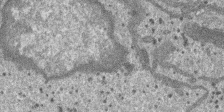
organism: Human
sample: Lung epithelial cells infected with SARS-CoV-2